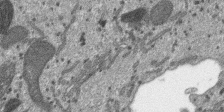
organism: Human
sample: Lung epithelial cells infected with SARS-CoV-2